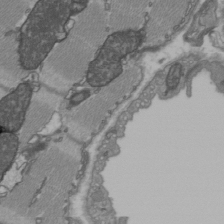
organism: C57BL Mouse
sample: Heart